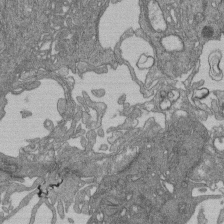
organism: Human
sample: Retinal organoid Rod and Cone cells